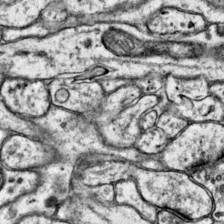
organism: Mouse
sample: Primary visual cortex